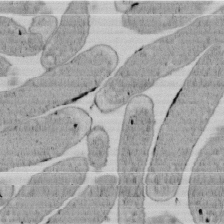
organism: E. coli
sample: Bacterial nucleoid